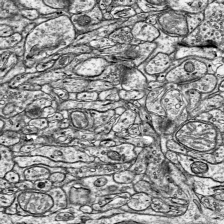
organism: Mouse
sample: Visual Cortex